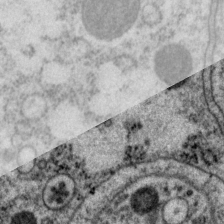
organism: P. pacificus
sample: Pharynx